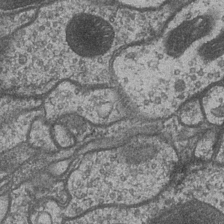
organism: Drosophila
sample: Optic medulla